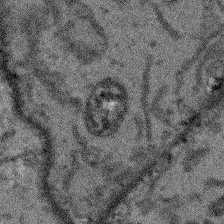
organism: Arabidopsis thaliana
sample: Root tip